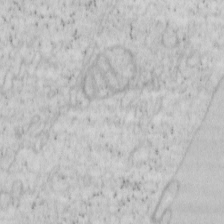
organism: Human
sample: HeLa cells